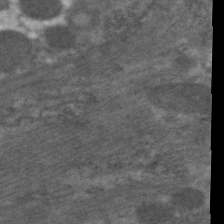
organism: C. elegans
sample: Pharynx